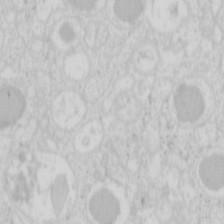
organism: Mouse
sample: Pancreas